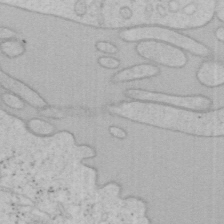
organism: Human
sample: HeLa cells